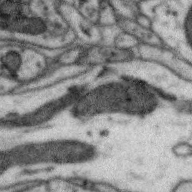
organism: Zebra finch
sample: Brain